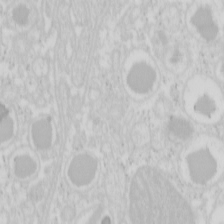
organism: Mouse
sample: Pancreas